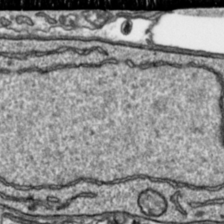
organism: Toxoplasma gondii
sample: Parasites in a vacuole inside a host cell